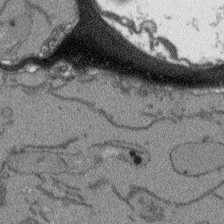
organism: Arabidopsis thaliana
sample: Root tip